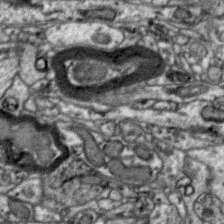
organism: Zebra finch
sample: Brain